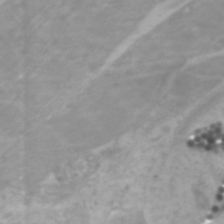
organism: Zebrafish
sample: Zebrafish embryo